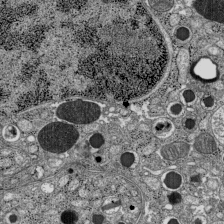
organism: C57BL Mouse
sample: Pancreatic islet